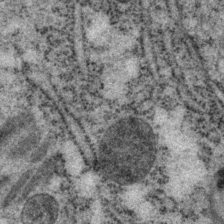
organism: P. pacificus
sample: Pharynx